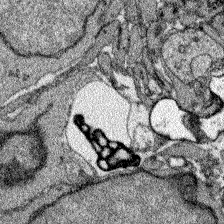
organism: Zebrafish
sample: Larval olfactory bulb